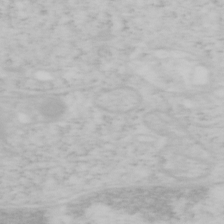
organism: Mouse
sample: OT-I killer T cells with ID8 ovarian cancer cells